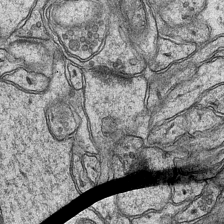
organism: Mouse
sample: CA1 Hippocampus